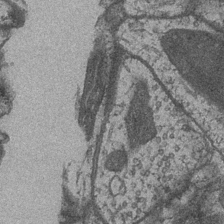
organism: Drosophila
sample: Optic medulla